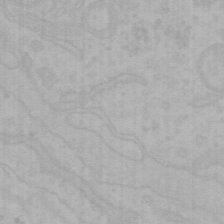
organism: Mouse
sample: Choroid plexus